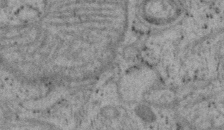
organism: Human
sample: HeLa cells